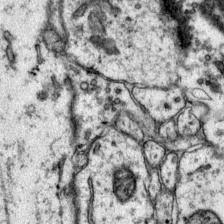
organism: Mouse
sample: Primary visual cortex